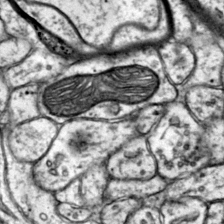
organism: Mouse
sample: Primary visual cortex